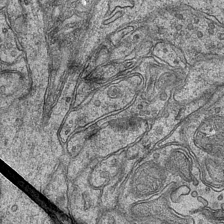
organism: Mouse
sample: CA1 Hippocampus